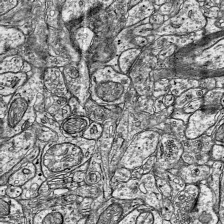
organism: Mouse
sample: Visual Cortex